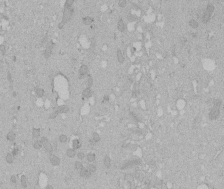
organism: Human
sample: Melanocyte Keratinocyte synapse skin construct